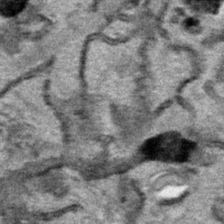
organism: Human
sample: Mitochondria in HCT116 cells